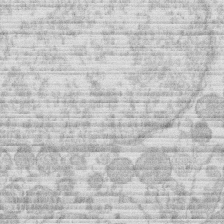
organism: Human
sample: Macrophage cells